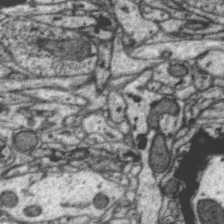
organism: Zebra finch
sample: Brain